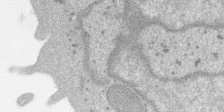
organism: Human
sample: Lung epithelial cells infected with SARS-CoV-2